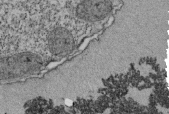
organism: Tetrahymena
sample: Cilia in tetrahymena